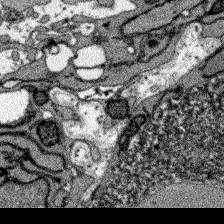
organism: Zebrafish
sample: Larval olfactory bulb